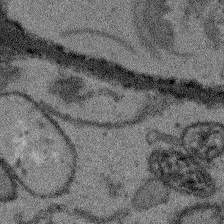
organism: Arabidopsis thaliana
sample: Root tip